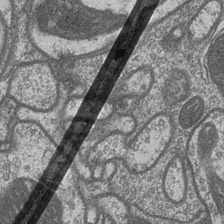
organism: Drosophila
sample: Optic medulla